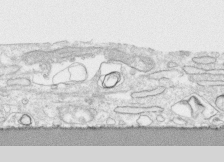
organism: Human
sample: CRL-1474